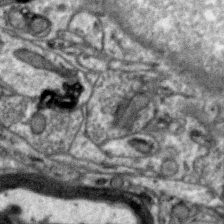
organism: Zebra finch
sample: Brain